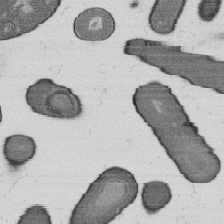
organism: B. subtilis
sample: Bacterial spore